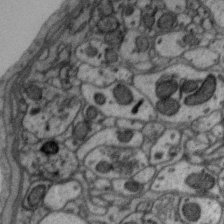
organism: Zebra finch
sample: Brain